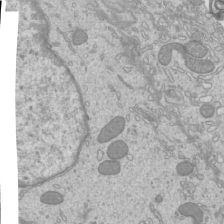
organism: Mouse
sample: Cilia; mouse epididymis